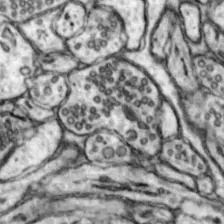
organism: Mouse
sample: Nucleus accumbens